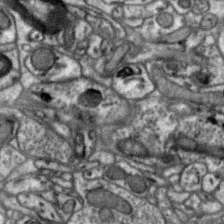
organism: Zebra finch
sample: Brain